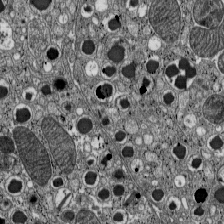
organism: C57BL Mouse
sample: Pancreatic islet